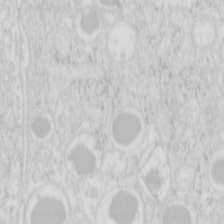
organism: Mouse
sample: Pancreas